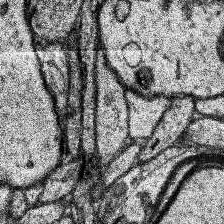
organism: Human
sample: Temporal Lobe